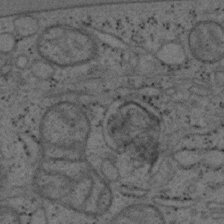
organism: Human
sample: HeLa cells